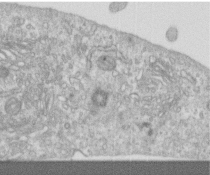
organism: Human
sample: Centriole in RPE cells